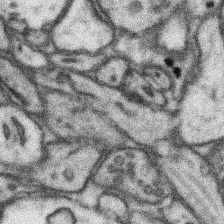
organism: Mouse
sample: Somatosensory cortex neuropil